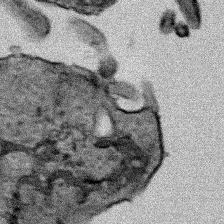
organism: Human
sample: Mitochondria in HCT116 cells